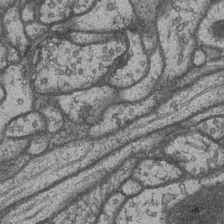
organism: Drosophila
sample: Optic medulla